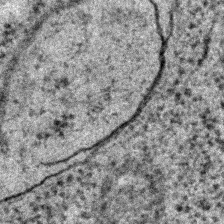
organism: C. elegans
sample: C. elegans embryo